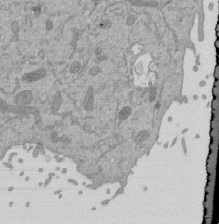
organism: Mouse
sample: ED-1 cell nuclei; centrioles